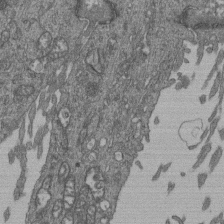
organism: Human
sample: Retinal organoid Rod and Cone cells